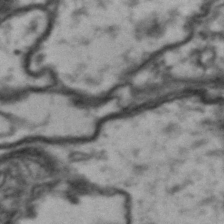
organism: Drosophila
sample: Brain